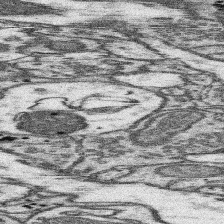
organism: Mouse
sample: Somatosensory cortex neuropil